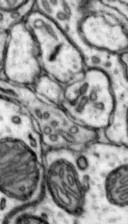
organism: Mouse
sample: Nucleus accumbens